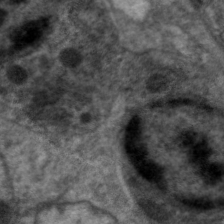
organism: C. elegans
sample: Pharynx